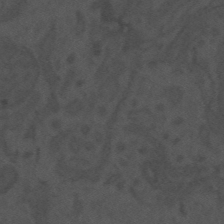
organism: Mouse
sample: Suprachiasmatic nucleus